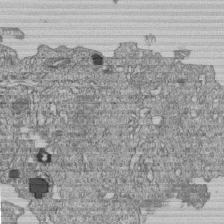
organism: Human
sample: MDA-MB-231 cells